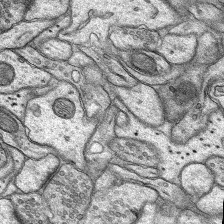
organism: Rat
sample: Hippocampus